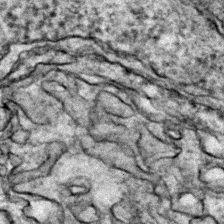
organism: Zebrafish